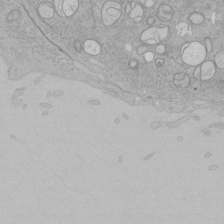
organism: Human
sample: Mitochondria in HCT116 cells